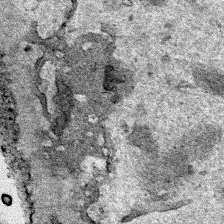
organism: Human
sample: Mitochondria in HCT116 cells